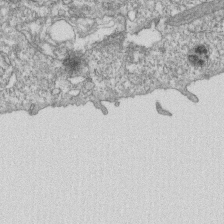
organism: Human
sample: HeLa cell HIV synapse